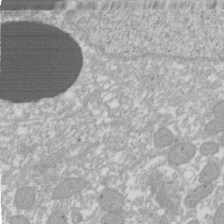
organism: Xenopus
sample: Cilia; centrioles in frog embryo cells